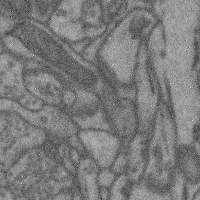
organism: Mouse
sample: Cerebral cortex